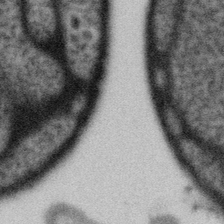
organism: Gemmata obscuriglobus